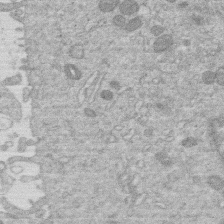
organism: Human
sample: Macrophage cells